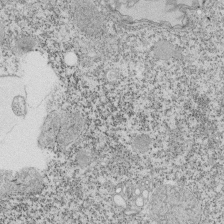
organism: Tetrahymena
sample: Cilia in tetrahymena